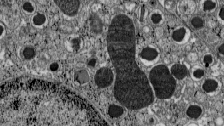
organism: C57BL Mouse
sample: Pancreatic islet